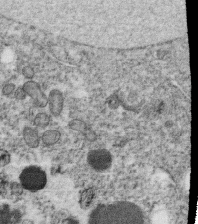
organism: C. elegans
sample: C. elegans oocyte; sperm cells